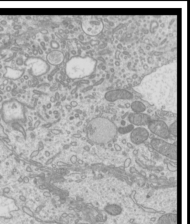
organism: Mouse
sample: Cilia; mouse epididymis